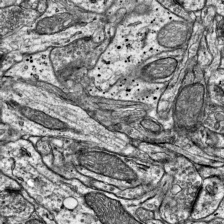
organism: Mouse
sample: Visual Cortex